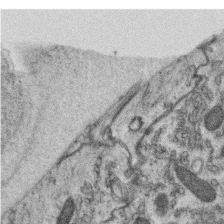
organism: C. elegans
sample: C. elegans oocyte; sperm cells